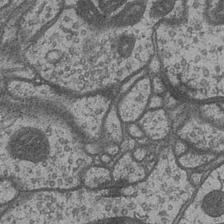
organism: Drosophila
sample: Optic medulla